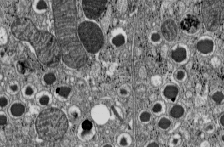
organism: C57BL Mouse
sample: Pancreatic islet